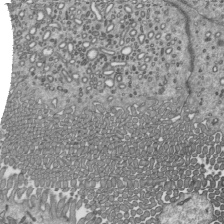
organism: Mouse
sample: Mouse epididymis efferent ductule cilia